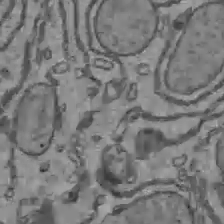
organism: C57BL Mouse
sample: Liver